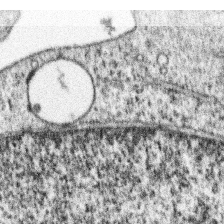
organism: Human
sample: HeLa cells